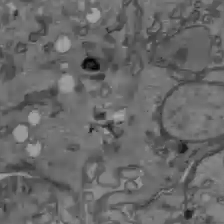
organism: C57BL Mouse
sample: Liver